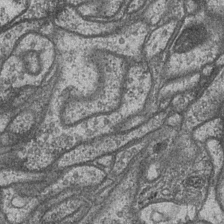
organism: Drosophila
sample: Optic medulla